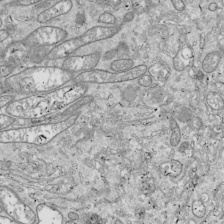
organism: Drosophila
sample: Cell division; meiosis; drosophila spermatocytes